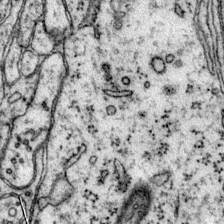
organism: Mouse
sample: Primary visual cortex